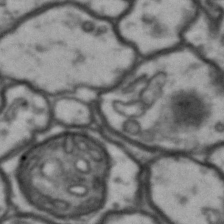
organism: Drosophila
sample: Brain